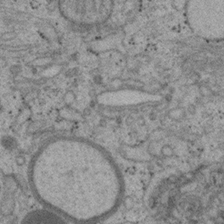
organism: Human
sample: HeLa cells